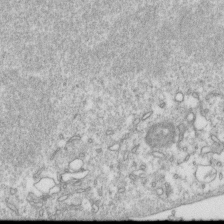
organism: Mouse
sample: Activated OT-1 CD8+ T cells